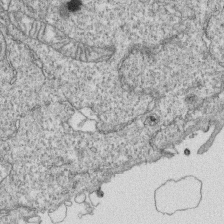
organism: Human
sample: HeLa cell HIV synapse